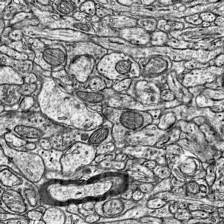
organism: Mouse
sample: Visual Cortex